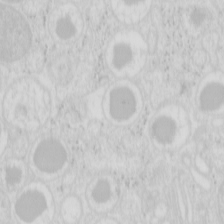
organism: Mouse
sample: Pancreas